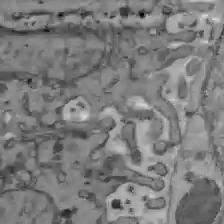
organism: C57BL Mouse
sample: Liver